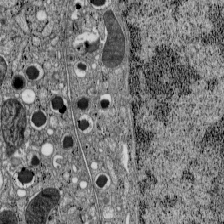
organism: C57BL Mouse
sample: Pancreatic islet